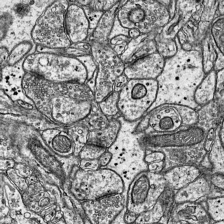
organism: Mouse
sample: Visual Cortex